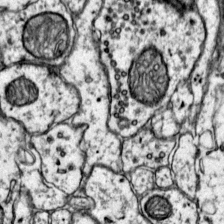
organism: Mouse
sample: Primary visual cortex